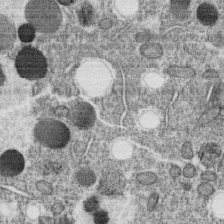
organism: C. elegans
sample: C. elegans oocyte; sperm cells